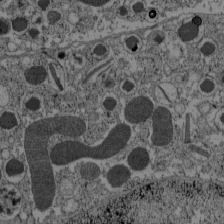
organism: C57BL Mouse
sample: Pancreatic islet